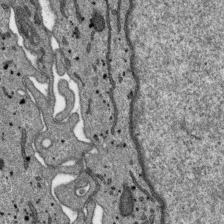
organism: Human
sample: Lung epithelial cells, uninfected (mock) control